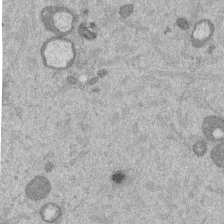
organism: Mouse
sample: Dividing mouse embryo 1 cell stage